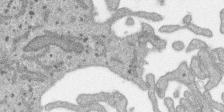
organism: Human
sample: Lung epithelial cells infected with SARS-CoV-2